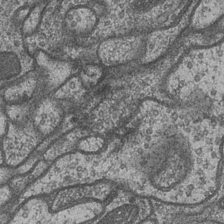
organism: Drosophila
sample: Optic medulla